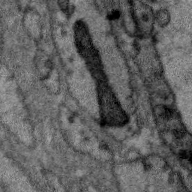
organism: Zebra finch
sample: Brain